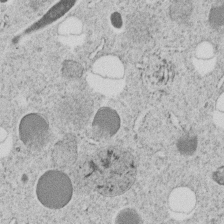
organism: C. elegans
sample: C. elegans embryo early stage